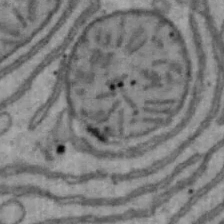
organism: Mouse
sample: Liver